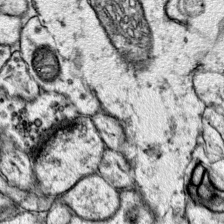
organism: Mouse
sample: Primary visual cortex